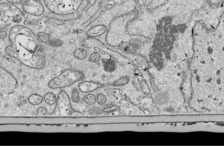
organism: Drosophila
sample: Cell division; meiosis; drosophila spermatocytes